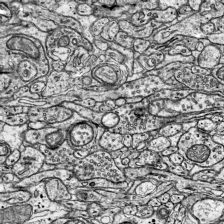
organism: Mouse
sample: Visual Cortex